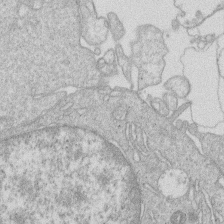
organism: Human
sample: Macrophage cells